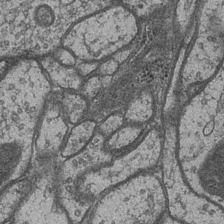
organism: Drosophila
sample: Optic medulla